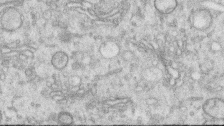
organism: Human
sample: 1205lu cells